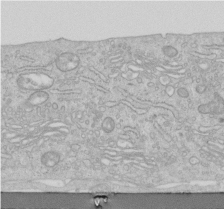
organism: Human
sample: Centriole in RPE cells